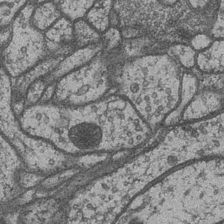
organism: Drosophila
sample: Optic medulla